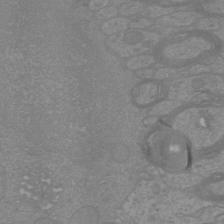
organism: Mouse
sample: Cortical neurons